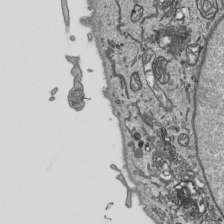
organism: Human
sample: Mitochondria in HCT116 cells